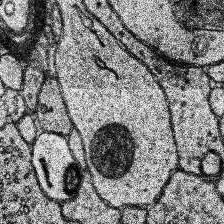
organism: Human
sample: Temporal Lobe